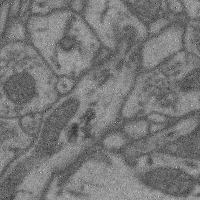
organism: Mouse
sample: Cerebral cortex